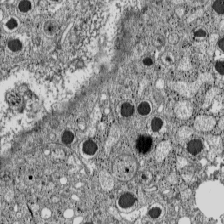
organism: C57BL Mouse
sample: Pancreatic islet